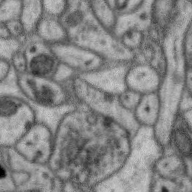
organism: Zebra finch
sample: Brain